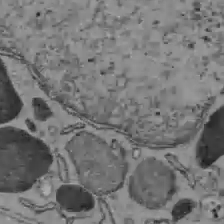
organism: C57BL Mouse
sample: Liver